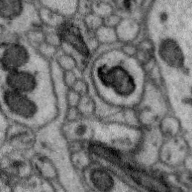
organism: Zebra finch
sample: Brain